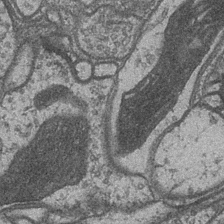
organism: Drosophila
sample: Optic medulla